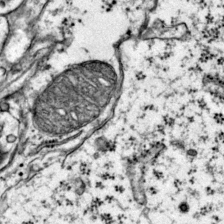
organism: Mouse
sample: Primary visual cortex